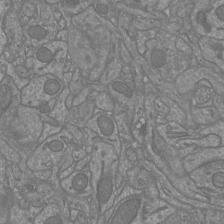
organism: Mouse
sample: Cortical neurons